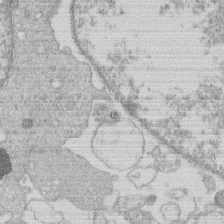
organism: Human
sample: Macrophage cells